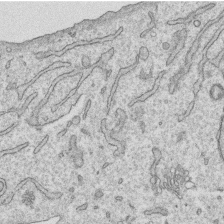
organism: Human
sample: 1205lu cells